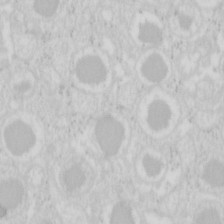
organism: Mouse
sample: Pancreas